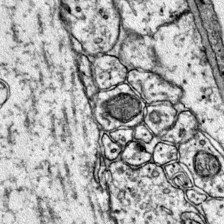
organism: Mouse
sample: Primary visual cortex